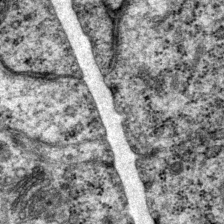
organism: P. pacificus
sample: Pharynx